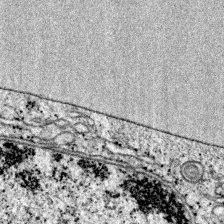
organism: Human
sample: HeLa cells